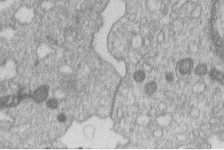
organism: Human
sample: Macrophage cells